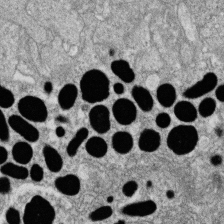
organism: Zebrafish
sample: Cilia; retinal pigment epithelium